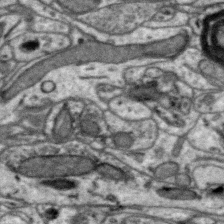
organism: Zebra finch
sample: Brain